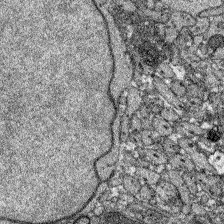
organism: Zebrafish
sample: Larval olfactory bulb